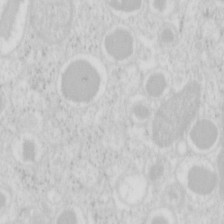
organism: Mouse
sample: Pancreas